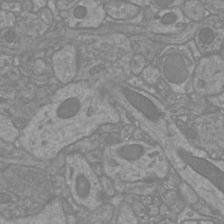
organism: Mouse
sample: Cortical neurons